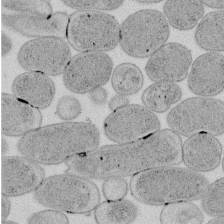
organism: E. coli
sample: Bacterial nucleoid